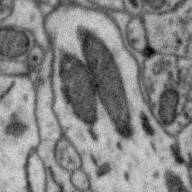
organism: Zebra finch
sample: Brain